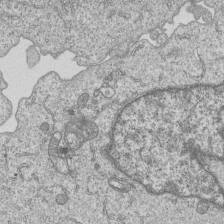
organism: Human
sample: MDA-MB-231 cells